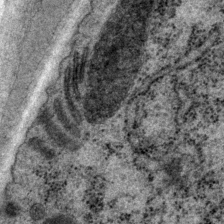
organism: P. pacificus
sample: Pharynx